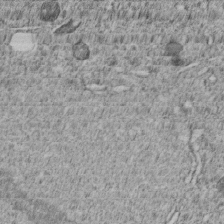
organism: C. elegans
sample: C. elegans embryo early stage